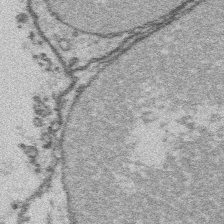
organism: Platynereis dumerilii